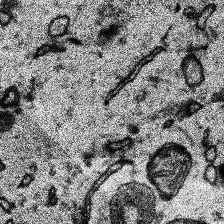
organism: Human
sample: Temporal Lobe